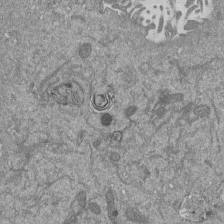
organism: Mouse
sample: ED-1 cell nuclei; centrioles